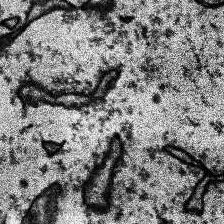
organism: Human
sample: Temporal Lobe